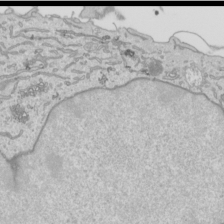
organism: Human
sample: Mitochondria in HCT116 cells